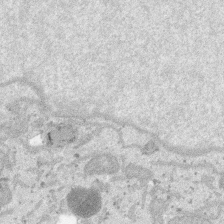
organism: Human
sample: Lung epithelial cells infected with SARS-CoV-2